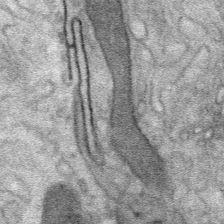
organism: Mouse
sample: Mouse Salivary gland